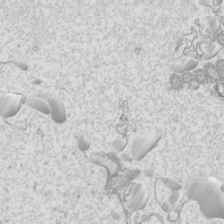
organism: Mouse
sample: Cilia; mouse epididymis